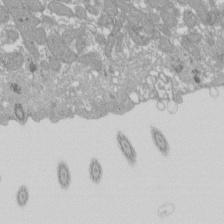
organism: Xenopus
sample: Cilia; centrioles in frog embryo cells